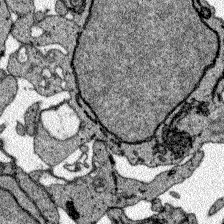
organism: Zebrafish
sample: Larval olfactory bulb